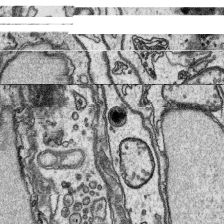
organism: Platynereis dumerilii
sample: Parapodia